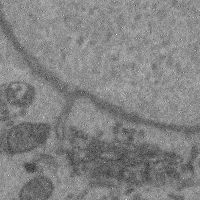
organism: Mouse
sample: Cerebral cortex